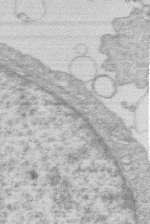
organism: Human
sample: Macrophage cells